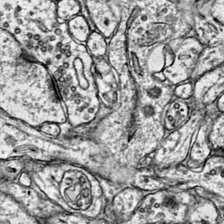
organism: Mouse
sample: Primary visual cortex